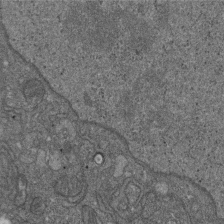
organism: Drosophila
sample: Nephrocyte